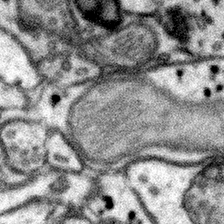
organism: Mouse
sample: Somatosensory cortex neuropil